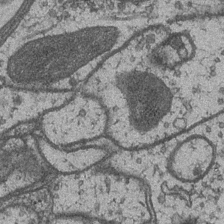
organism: Drosophila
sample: Optic medulla